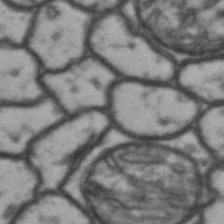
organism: Drosophila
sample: Brain